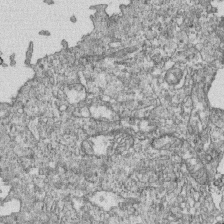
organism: Human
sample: HeLa cell HIV synapse